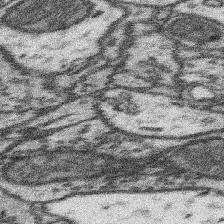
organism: Mouse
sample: Somatosensory cortex neuropil